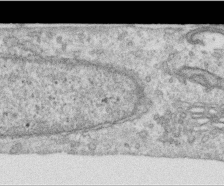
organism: Human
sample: Centriole in RPE cells